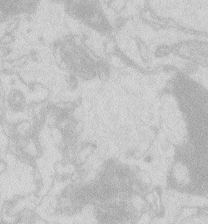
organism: Zebrafish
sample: Macrophage